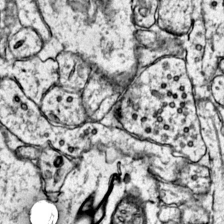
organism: Mouse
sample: Primary visual cortex